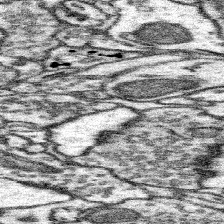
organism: Mouse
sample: Somatosensory cortex neuropil